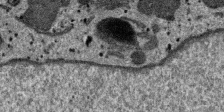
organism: Human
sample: Lung epithelial cells, uninfected (mock) control